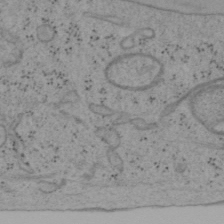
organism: Human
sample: HeLa cells